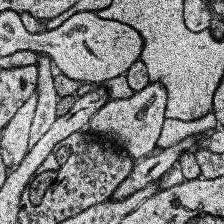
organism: Human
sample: Temporal Lobe